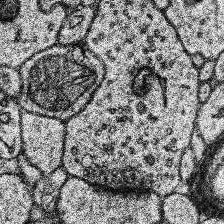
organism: Human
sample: Temporal Lobe